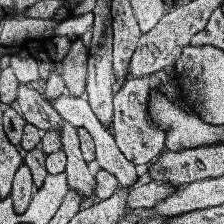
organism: Human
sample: Temporal Lobe